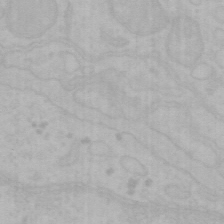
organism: Mouse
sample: Choroid plexus